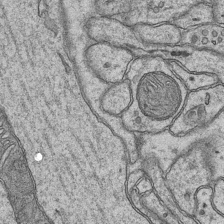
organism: Mouse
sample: CA1 Hippocampus